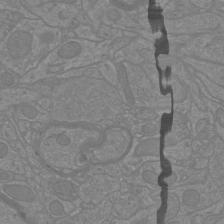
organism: Mouse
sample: Cortical neurons